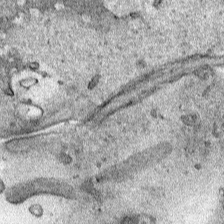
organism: Human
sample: Mitochondria in HCT116 cells